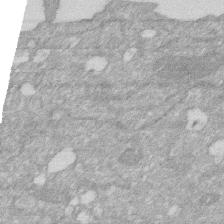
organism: Human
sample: HIV infected U937 cells